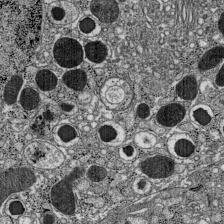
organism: C57BL Mouse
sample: Pancreatic islet